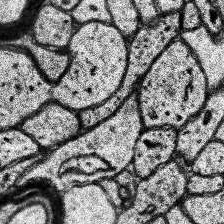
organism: Human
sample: Temporal Lobe